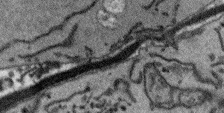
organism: Arabidopsis thaliana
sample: Root tip